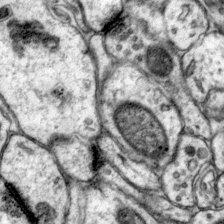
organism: Mouse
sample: Primary visual cortex